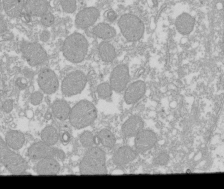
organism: Xenopus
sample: Cilia; centrioles in frog embryo cells